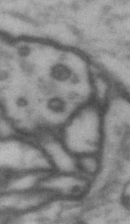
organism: Drosophila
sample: Brain